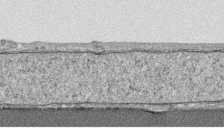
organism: Human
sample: CRL-1474